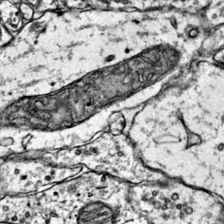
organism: Mouse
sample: Primary visual cortex